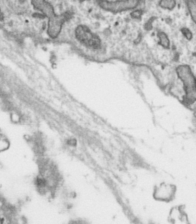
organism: Toxoplasma gondii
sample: Parasites in a vacuole inside a host cell